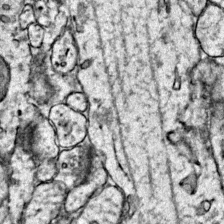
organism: Mouse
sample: Primary visual cortex